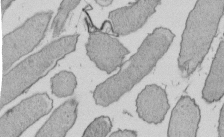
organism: E. coli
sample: Bacterial nucleoid